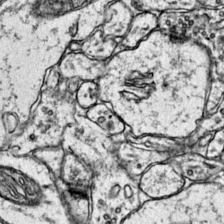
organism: Mouse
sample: Primary visual cortex